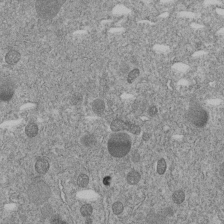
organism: C. elegans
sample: C. elegans embryo early stage